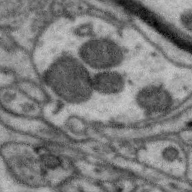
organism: Zebra finch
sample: Brain